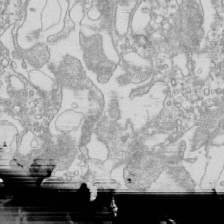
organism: Mouse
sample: Macrophages